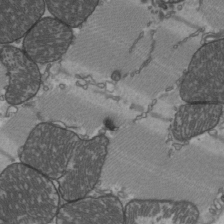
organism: C57BL Mouse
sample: Heart